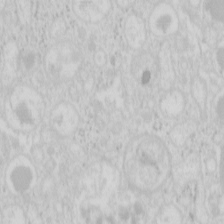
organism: Mouse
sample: Pancreas